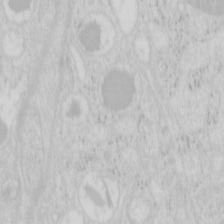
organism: Mouse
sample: Pancreas